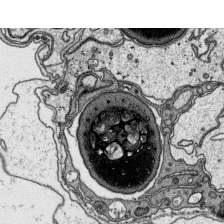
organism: Platynereis dumerilii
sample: Parapodia